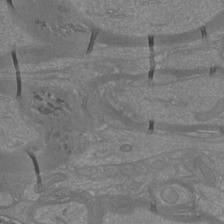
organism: Mouse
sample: Cortical neurons